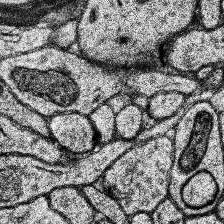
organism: Human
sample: Temporal Lobe